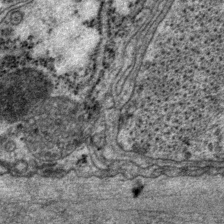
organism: P. pacificus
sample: Pharynx